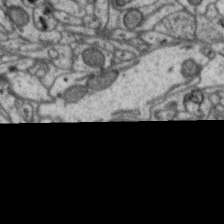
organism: Zebra finch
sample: Brain